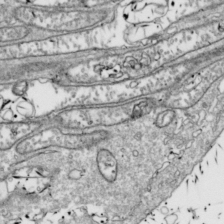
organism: Drosophila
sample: Cell division; meiosis; drosophila spermatocytes